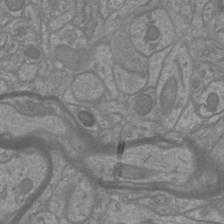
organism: Mouse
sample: Cortical neurons